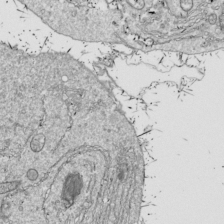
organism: Drosophila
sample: Cell division; meiosis; drosophila spermatocytes